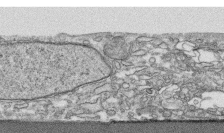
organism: Human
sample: CRL-1474